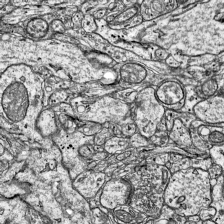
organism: Mouse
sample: Visual Cortex